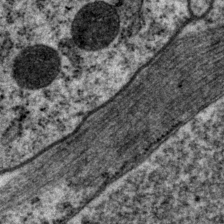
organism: P. pacificus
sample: Pharynx